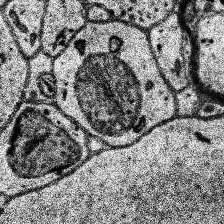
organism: Human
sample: Temporal Lobe